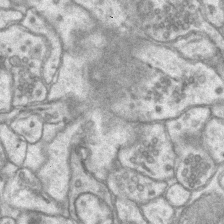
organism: Mouse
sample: CA1 Hippocampus